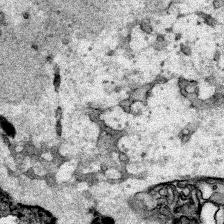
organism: Human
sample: Mitochondria in HCT116 cells